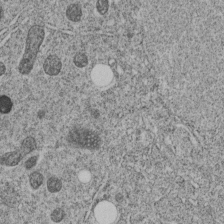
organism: C. elegans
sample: C. elegans embryo early stage